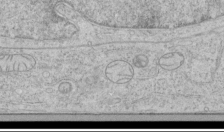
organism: Human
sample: Mitochondria in HCT116 cells